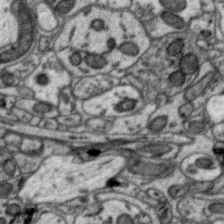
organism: Zebra finch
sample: Brain